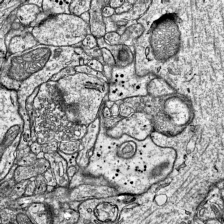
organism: Mouse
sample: Visual Cortex